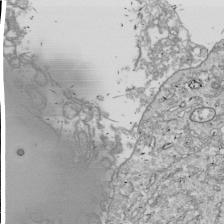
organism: Drosophila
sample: Cell division; meiosis; drosophila spermatocytes